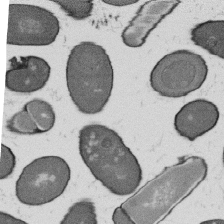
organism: B. subtilis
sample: Bacterial spore